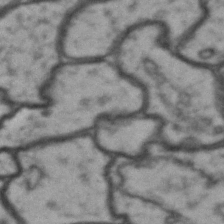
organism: Drosophila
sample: Brain